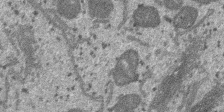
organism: Human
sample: Lung epithelial cells infected with SARS-CoV-2